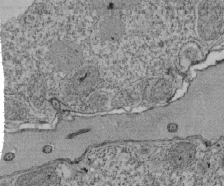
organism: Tetrahymena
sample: Cilia in tetrahymena